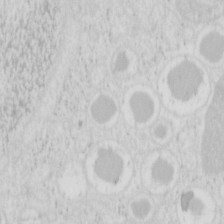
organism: Mouse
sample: Pancreas